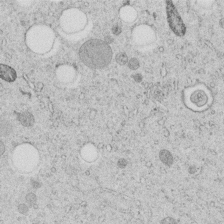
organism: C. elegans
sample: C. elegans embryo early stage